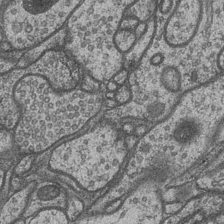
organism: Drosophila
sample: Optic medulla